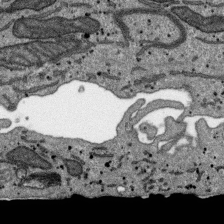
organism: Human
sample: Lung epithelial cells, uninfected (mock) control